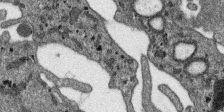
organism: Human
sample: Lung epithelial cells infected with SARS-CoV-2